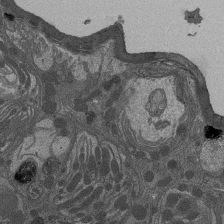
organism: Drosophila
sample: Antenna